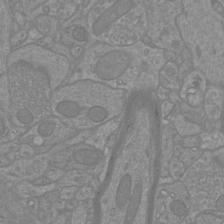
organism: Mouse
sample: Cortical neurons